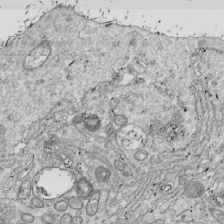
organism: Drosophila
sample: Cell division; meiosis; drosophila spermatocytes